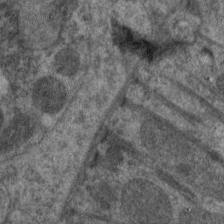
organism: C. elegans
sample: Pharynx